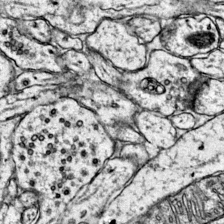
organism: Mouse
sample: Primary visual cortex